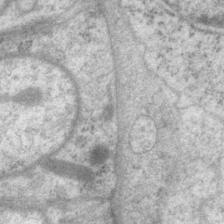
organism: P. pacificus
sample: Pharynx